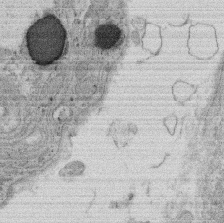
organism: Rat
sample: Salivary granule